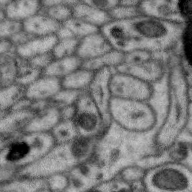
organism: Zebra finch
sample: Brain